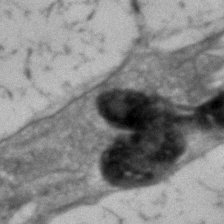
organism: Human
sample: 1205lu cells